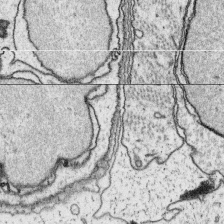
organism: Platynereis dumerilii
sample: Parapodia